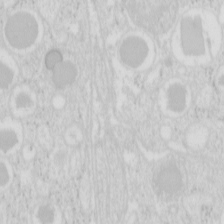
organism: Mouse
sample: Pancreas